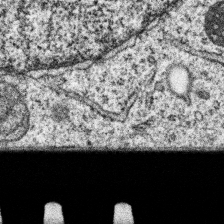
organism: Human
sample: HeLa cells